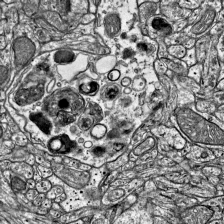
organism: Mouse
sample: Visual Cortex